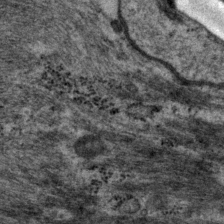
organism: P. pacificus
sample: Pharynx